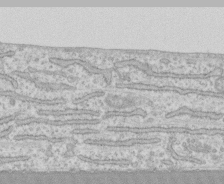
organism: Human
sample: CRL-1474